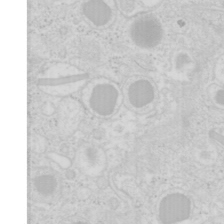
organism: Mouse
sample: Pancreas